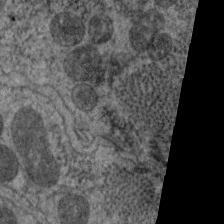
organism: C. elegans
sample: Pharynx